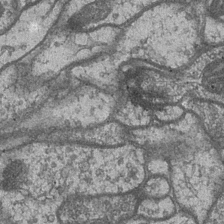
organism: Drosophila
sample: Optic medulla